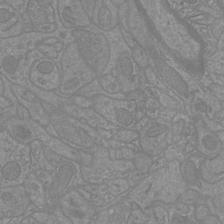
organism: Mouse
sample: Cortical neurons